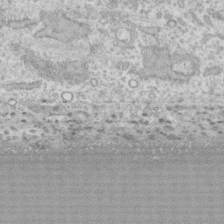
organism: Human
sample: CRL-1474